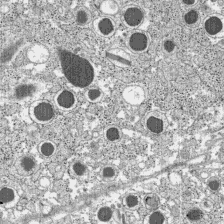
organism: C57BL Mouse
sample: Pancreatic islet